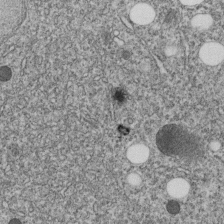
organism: C. elegans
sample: C. elegans embryo early stage